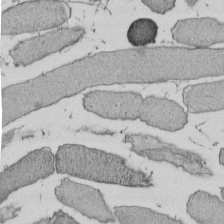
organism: E. coli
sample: Bacterial nucleoid